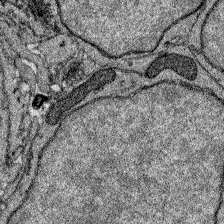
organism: Zebrafish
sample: Larval olfactory bulb